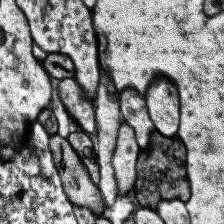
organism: Human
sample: Temporal Lobe